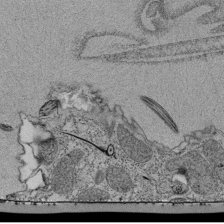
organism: Tetrahymena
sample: Cilia in tetrahymena